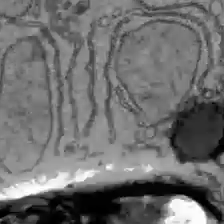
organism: C57BL Mouse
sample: Liver